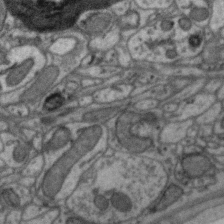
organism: Zebra finch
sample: Brain